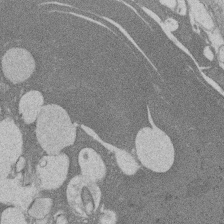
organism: Rat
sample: Salivary granule